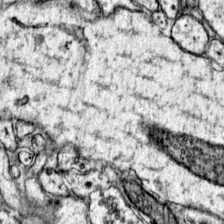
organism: Mouse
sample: Primary visual cortex